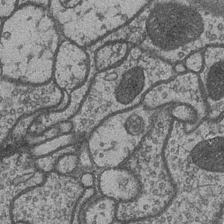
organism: Drosophila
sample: Optic medulla